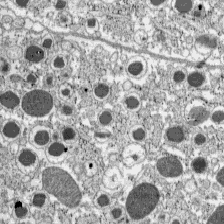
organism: C57BL Mouse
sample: Pancreatic islet